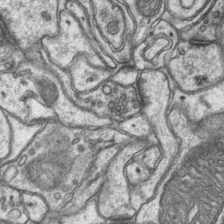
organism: Mouse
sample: CA1 Hippocampus